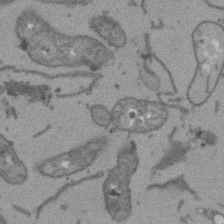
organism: Arabidopsis thaliana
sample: Root tip